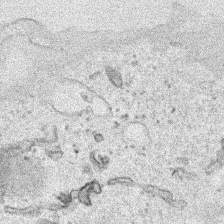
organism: Human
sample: Mitochondria in HCT116 cells